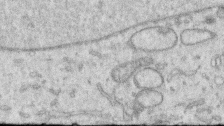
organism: Human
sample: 1205lu cells